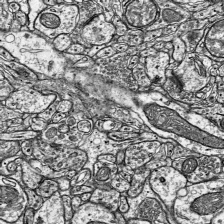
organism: Mouse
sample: Visual Cortex